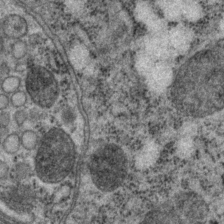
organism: P. pacificus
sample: Pharynx